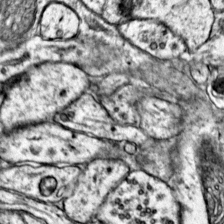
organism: Mouse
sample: Primary visual cortex